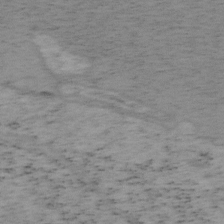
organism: Mouse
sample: OT-I killer T cells with ID8 ovarian cancer cells